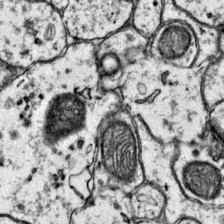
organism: Mouse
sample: Primary visual cortex